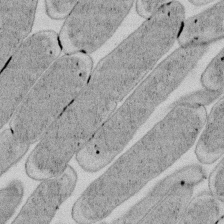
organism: E. coli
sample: Bacterial nucleoid